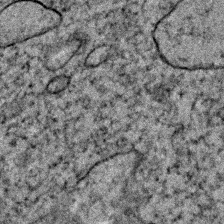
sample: Trachea